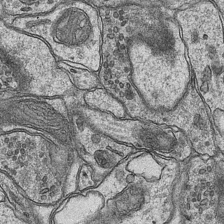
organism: Mouse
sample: CA1 Hippocampus